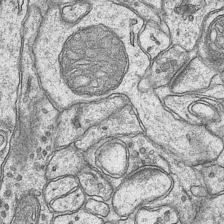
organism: Mouse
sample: CA1 Hippocampus